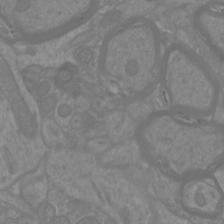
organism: Mouse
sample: Cortical neurons